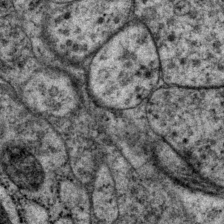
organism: P. pacificus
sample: Pharynx